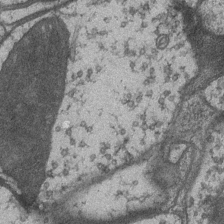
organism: Drosophila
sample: Optic medulla